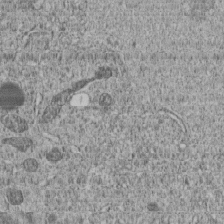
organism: C. elegans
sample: C. elegans embryo early stage